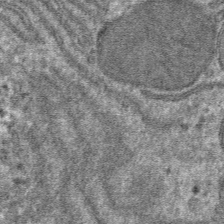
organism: Mouse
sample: Mouse hepatocytes